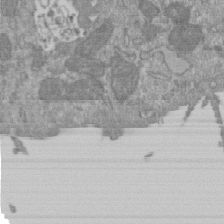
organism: Mouse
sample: ED-1 cell nuclei; centrioles